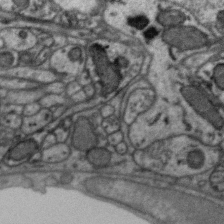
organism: Zebra finch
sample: Brain